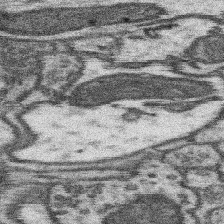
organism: Mouse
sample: Somatosensory cortex neuropil